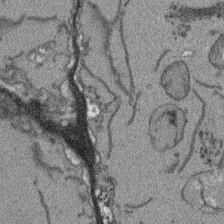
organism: Arabidopsis thaliana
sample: Root tip